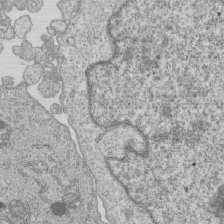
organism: Human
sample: MDA-MB-231 cells